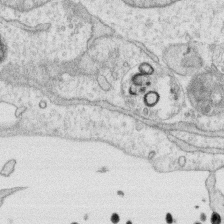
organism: Human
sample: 1205lu cells